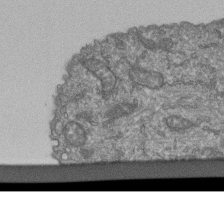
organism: Human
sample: Retinal organoid Rod and Cone cells